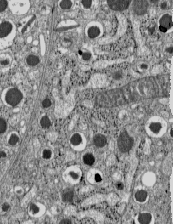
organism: C57BL Mouse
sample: Pancreatic islet